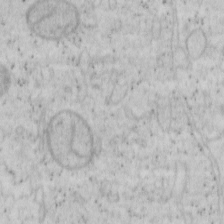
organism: Human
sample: HeLa cells